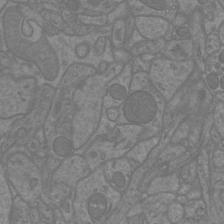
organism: Mouse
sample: Cortical neurons